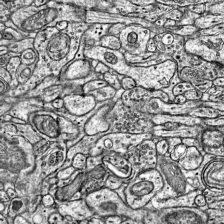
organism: Mouse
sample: Visual Cortex